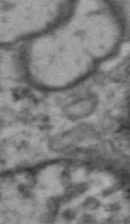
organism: Drosophila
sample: Brain